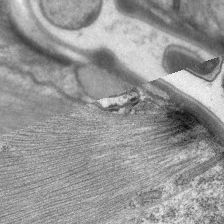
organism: C. elegans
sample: Pharynx